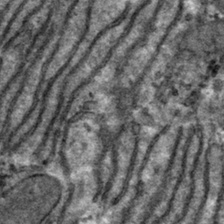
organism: Mouse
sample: Mouse hepatocytes